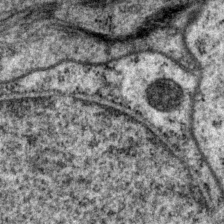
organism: P. pacificus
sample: Pharynx